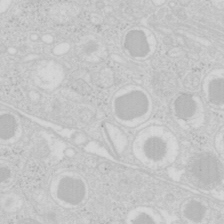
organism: Mouse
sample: Pancreas